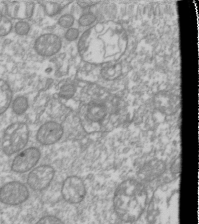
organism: Drosophila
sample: Cell division; meiosis; drosophila spermatocytes